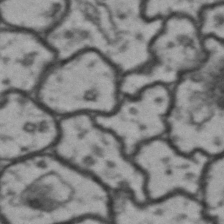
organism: Drosophila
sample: Brain